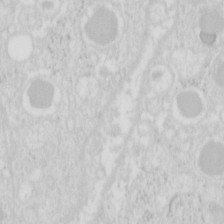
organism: Mouse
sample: Pancreas